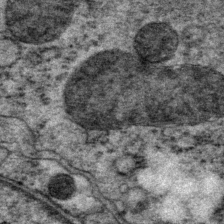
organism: P. pacificus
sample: Pharynx